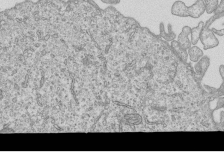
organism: Human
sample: MDA-MB-231 cells